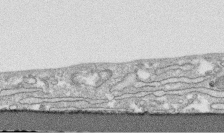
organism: Human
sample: CRL-1474